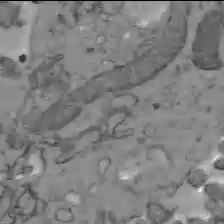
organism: C57BL Mouse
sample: Liver